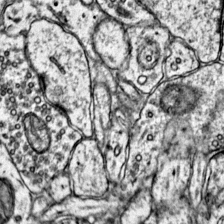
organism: Mouse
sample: Primary visual cortex